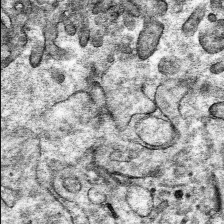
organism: Mouse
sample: Mouse hepatocytes